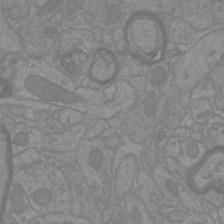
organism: Mouse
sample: Cortical neurons